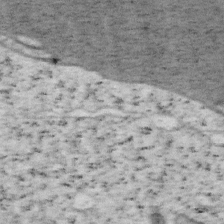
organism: Mouse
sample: OT-I killer T cells with ID8 ovarian cancer cells